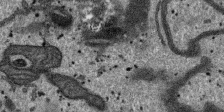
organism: Human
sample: Lung epithelial cells, uninfected (mock) control